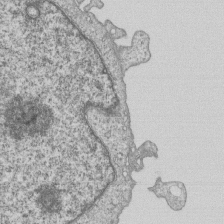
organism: Human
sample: MDA-MB-231 cells